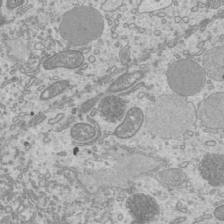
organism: Mouse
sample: Cilia; mouse epididymis